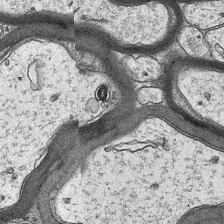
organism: Mouse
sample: CA1 Hippocampus